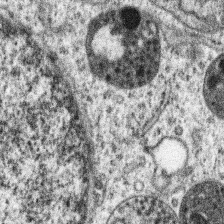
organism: Human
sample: HeLa cells